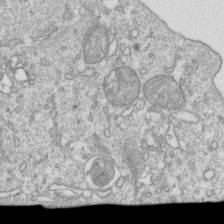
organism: Mouse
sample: Activated OT-1 CD8+ T cells